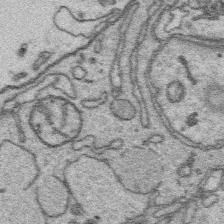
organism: Platynereis dumerilii